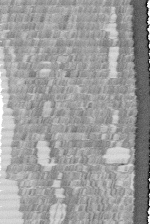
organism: Human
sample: Centriole in fibroblast cells